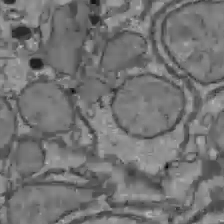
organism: C57BL Mouse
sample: Liver